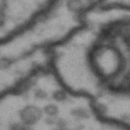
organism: Drosophila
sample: Brain